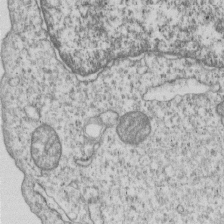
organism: Human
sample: MDA-MB-231 cells